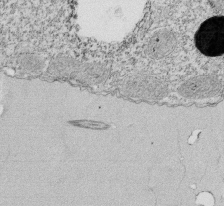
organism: Tetrahymena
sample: Cilia in tetrahymena